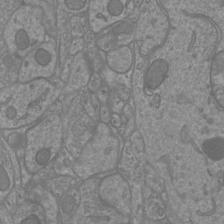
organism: Mouse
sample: Cortical neurons